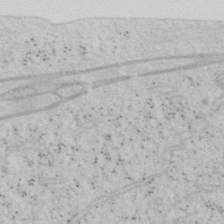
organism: Human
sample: HeLa cells